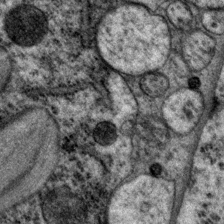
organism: P. pacificus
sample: Pharynx